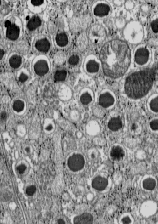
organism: C57BL Mouse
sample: Pancreatic islet